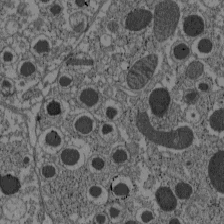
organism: C57BL Mouse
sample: Pancreatic islet